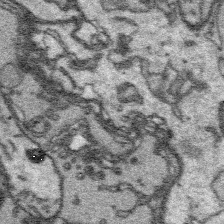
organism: Platynereis dumerilii